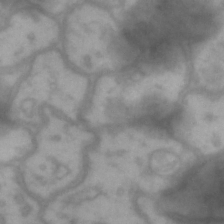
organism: Drosophila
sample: Brain